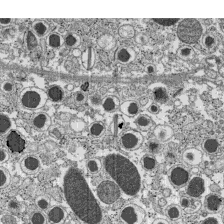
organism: C57BL Mouse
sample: Pancreatic islet